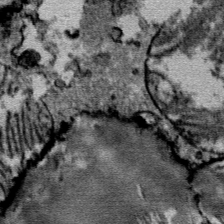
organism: Mouse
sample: Mouse Salivary gland